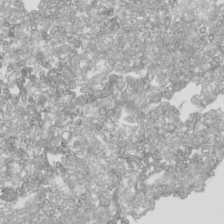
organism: Human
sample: Mitochondria in HCT116 cells